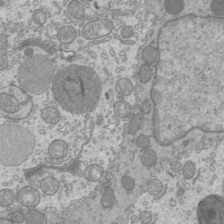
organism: Mouse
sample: Cilia; mouse epididymis